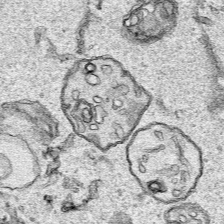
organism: Human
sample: Mitochondria in HCT116 cells